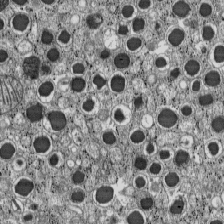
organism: C57BL Mouse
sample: Pancreatic islet